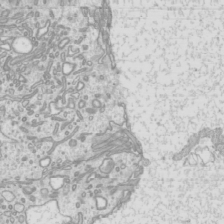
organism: Mouse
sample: Cilia; mouse epididymis